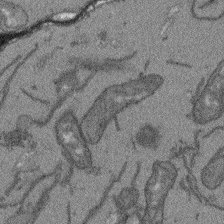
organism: Arabidopsis thaliana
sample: Root tip